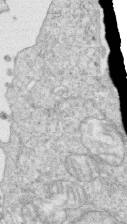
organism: Human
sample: HeLa cell HIV synapse